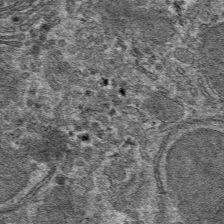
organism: Mouse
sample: Mouse hepatocytes